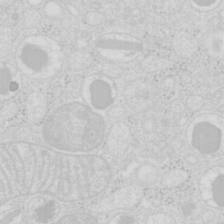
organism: Mouse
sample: Pancreas